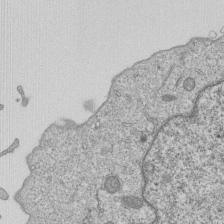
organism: Human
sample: MDA-MB-231 cells